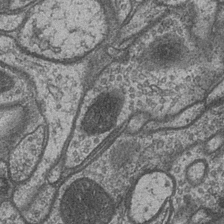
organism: Drosophila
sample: Optic medulla